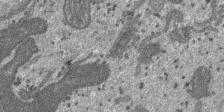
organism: Human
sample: Lung epithelial cells infected with SARS-CoV-2